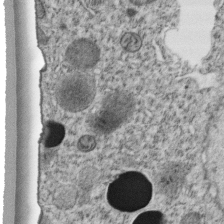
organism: C. elegans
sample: C. elegans embryo early stage